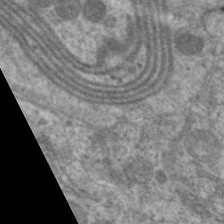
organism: C. elegans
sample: Pharynx